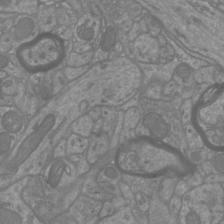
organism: Mouse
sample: Cortical neurons